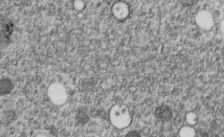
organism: C. elegans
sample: C. elegans embryo early stage